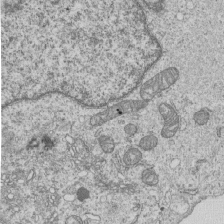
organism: Human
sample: MDA-MB-231 cells